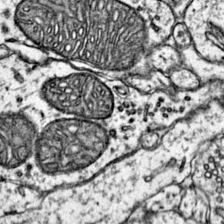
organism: Mouse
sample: Primary visual cortex